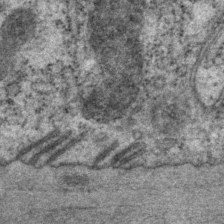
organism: P. pacificus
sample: Pharynx